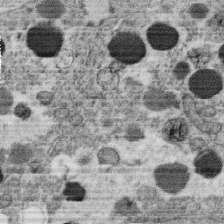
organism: C. elegans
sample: C. elegans oocyte; sperm cells